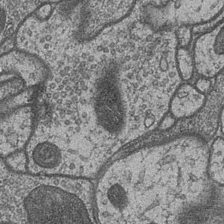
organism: Drosophila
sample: Optic medulla